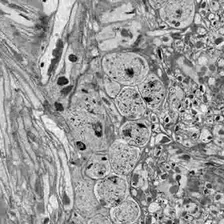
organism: Drosophila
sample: Optic lobe